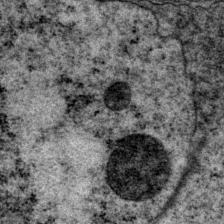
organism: P. pacificus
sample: Pharynx